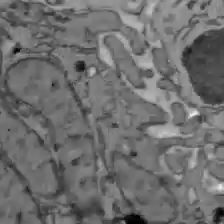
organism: C57BL Mouse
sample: Liver